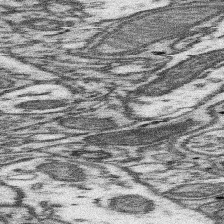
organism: Mouse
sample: Somatosensory cortex neuropil